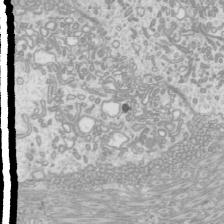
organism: Mouse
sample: Cilia; mouse epididymis